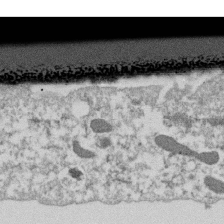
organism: Dictyostelium discoideum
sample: Dictyostelium multivesicular bodies